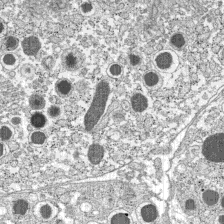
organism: C57BL Mouse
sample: Pancreatic islet